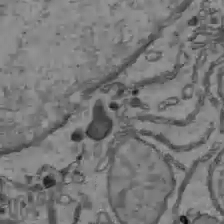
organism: C57BL Mouse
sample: Liver